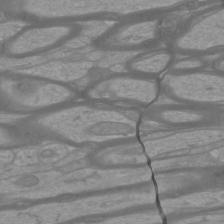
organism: Mouse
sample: Cortical neurons